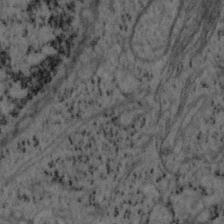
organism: Human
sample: HeLa cells